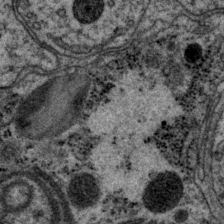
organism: P. pacificus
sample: Pharynx